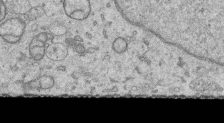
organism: Human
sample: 1205lu cells